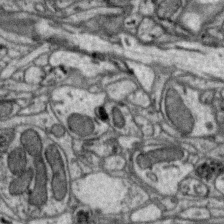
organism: Zebra finch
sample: Brain